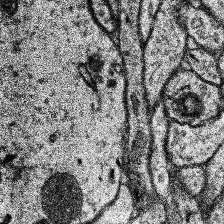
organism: Human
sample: Temporal Lobe